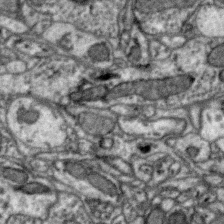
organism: Zebra finch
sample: Brain